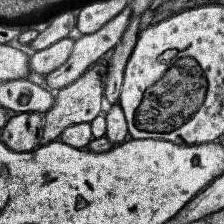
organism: Human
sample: Temporal Lobe